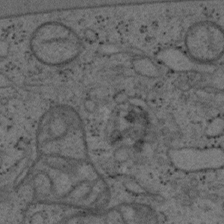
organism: Human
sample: HeLa cells